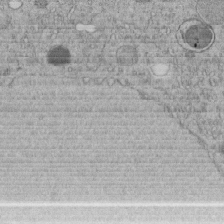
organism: C. elegans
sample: C. elegans embryo early stage